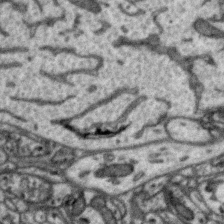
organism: Zebra finch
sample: Brain